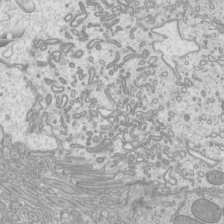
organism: Mouse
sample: Cilia; mouse epididymis